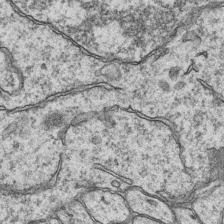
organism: Mouse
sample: CA1 Hippocampus